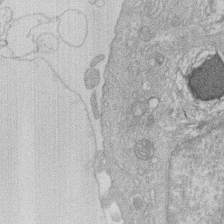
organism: Human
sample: Macrophage cells